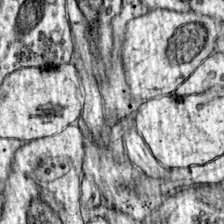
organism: Mouse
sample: Primary visual cortex